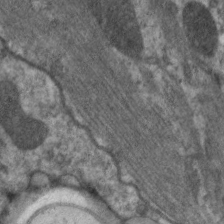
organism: C. elegans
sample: Pharynx